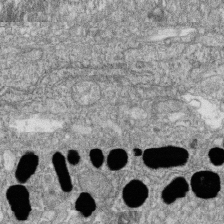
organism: Zebrafish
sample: Cilia; retinal pigment epithelium